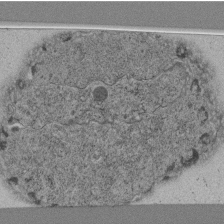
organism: C. elegans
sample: C. elegans pharynx